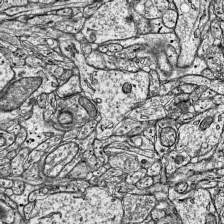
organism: Mouse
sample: Visual Cortex